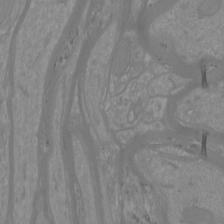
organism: Mouse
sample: Cortical neurons